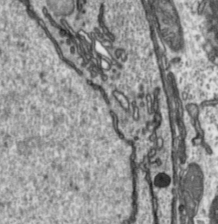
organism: Toxoplasma gondii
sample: Parasites in a vacuole inside a host cell